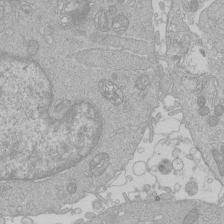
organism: Human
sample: Macrophage cells